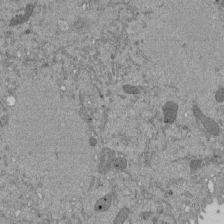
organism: Mouse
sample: ED-1 cell nuclei; centrioles